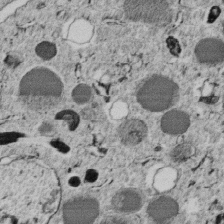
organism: C. elegans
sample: C. elegans embryo early stage